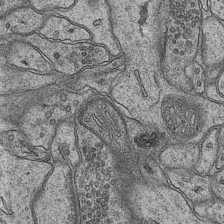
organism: Mouse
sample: CA1 Hippocampus